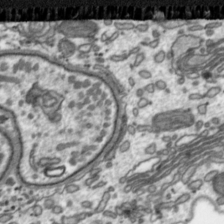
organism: Toxoplasma gondii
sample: Parasites in a vacuole inside a host cell